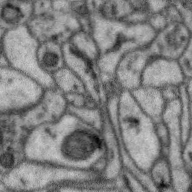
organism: Zebra finch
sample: Brain